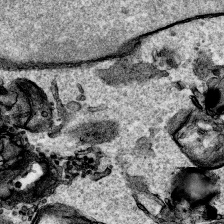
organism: Human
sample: Mitochondria in HCT116 cells